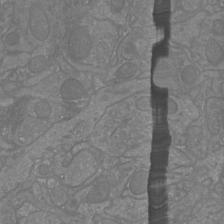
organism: Mouse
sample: Cortical neurons